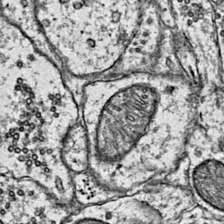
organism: Mouse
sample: Primary visual cortex